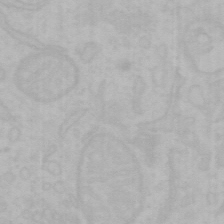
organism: Mouse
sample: Choroid plexus